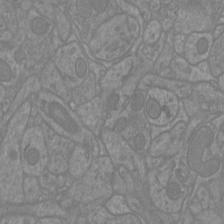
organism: Mouse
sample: Cortical neurons